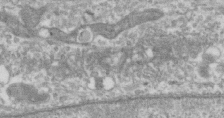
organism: Human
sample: Centriole in RPE cells